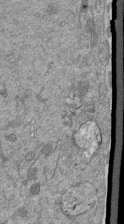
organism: Mouse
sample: ED-1 cell nuclei; centrioles